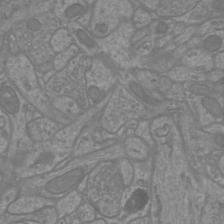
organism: Mouse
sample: Cortical neurons